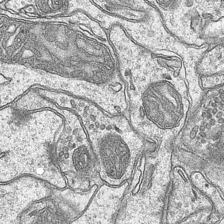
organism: Mouse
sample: CA1 Hippocampus